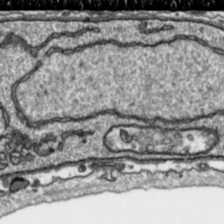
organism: Toxoplasma gondii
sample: Parasites in a vacuole inside a host cell